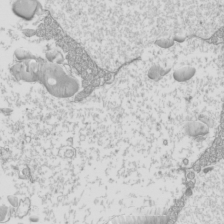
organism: Mouse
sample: Cilia; mouse epididymis